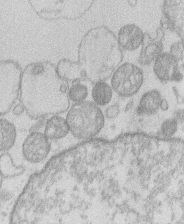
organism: Human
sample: Macrophage cells